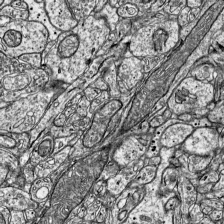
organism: Mouse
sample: Visual Cortex